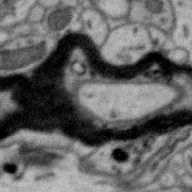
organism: Zebra finch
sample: Brain